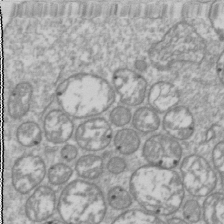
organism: Drosophila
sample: Cell division; meiosis; drosophila spermatocytes